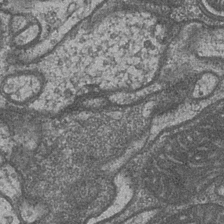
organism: Drosophila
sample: Optic medulla